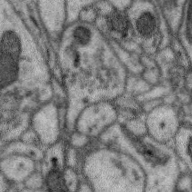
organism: Zebra finch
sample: Brain